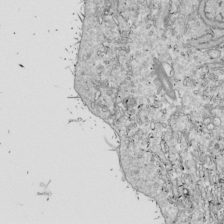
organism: Drosophila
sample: Cell division; meiosis; drosophila spermatocytes